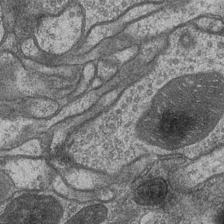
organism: Drosophila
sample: Optic medulla